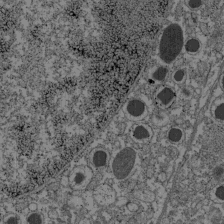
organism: C57BL Mouse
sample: Pancreatic islet